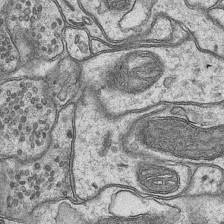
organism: Mouse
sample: CA1 Hippocampus